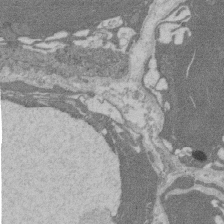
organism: Rat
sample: Salivary granule